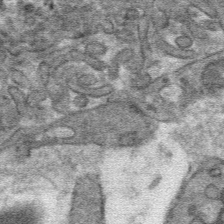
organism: Mouse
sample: Mouse hepatocytes